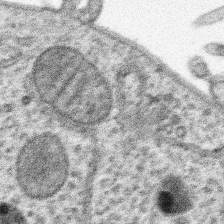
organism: Human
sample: HeLa cells